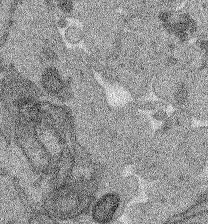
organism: Human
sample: HeLa cells